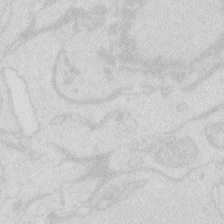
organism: Zebrafish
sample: Macrophage